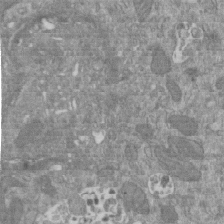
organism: Mouse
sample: ED-1 cell nuclei; centrioles